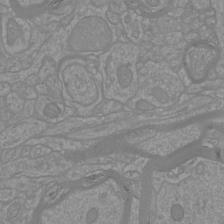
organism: Mouse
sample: Cortical neurons